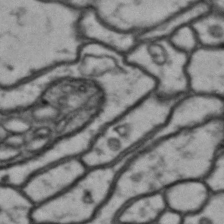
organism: Drosophila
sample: Brain